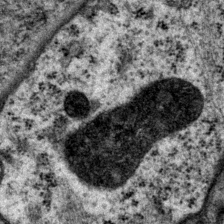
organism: P. pacificus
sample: Pharynx